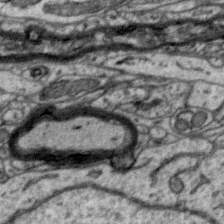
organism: Zebra finch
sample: Brain